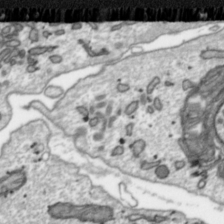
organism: Toxoplasma gondii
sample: Parasites in a vacuole inside a host cell